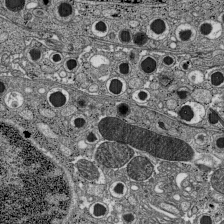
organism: C57BL Mouse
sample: Pancreatic islet